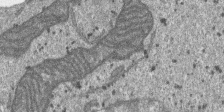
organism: Human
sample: Lung epithelial cells infected with SARS-CoV-2